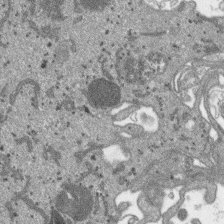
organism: Human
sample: Lung epithelial cells infected with SARS-CoV-2